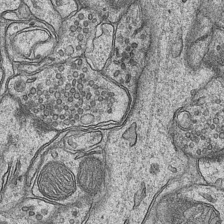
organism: Mouse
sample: CA1 Hippocampus